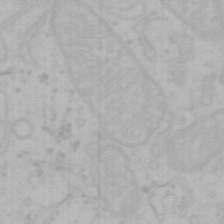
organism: Mouse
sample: Choroid plexus